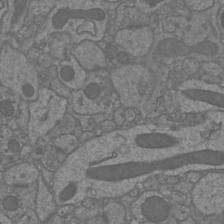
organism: Mouse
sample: Cortical neurons